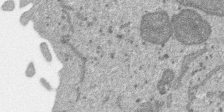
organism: Human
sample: Lung epithelial cells infected with SARS-CoV-2